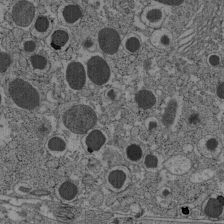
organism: C57BL Mouse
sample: Pancreatic islet